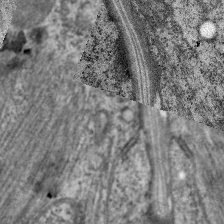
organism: C. elegans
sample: Pharynx